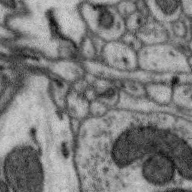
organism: Zebra finch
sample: Brain